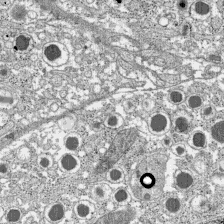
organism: C57BL Mouse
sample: Pancreatic islet